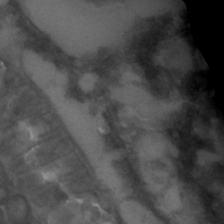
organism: C. elegans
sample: C. elegans embryo